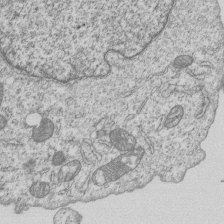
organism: Human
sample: MDA-MB-231 cells